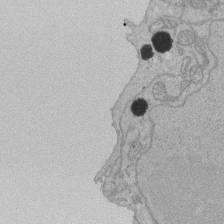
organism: Human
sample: Activated Jurkat CD4+ T cells